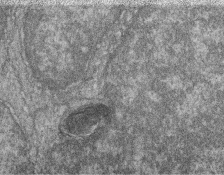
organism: Zebrafish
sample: Cilia; retinal pigment epithelium